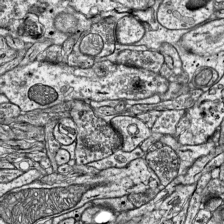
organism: Mouse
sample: Visual Cortex